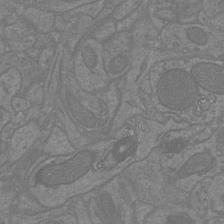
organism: Mouse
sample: Cortical neurons